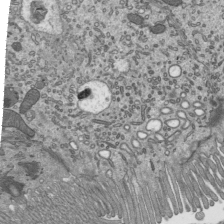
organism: Mouse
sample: Mouse epididymis efferent ductule cilia